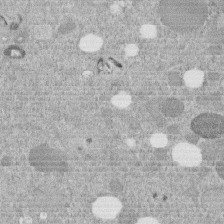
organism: C. elegans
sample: C. elegans embryo early stage